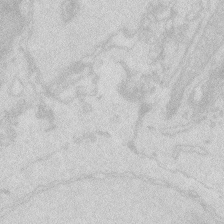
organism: Zebrafish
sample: Macrophage